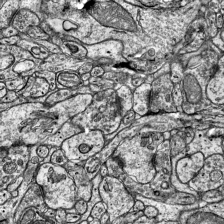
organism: Mouse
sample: Visual Cortex